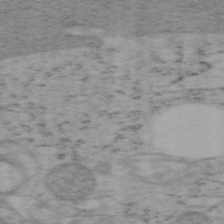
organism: Mouse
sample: OT-I killer T cells with ID8 ovarian cancer cells